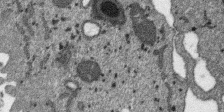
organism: Human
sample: Lung epithelial cells infected with SARS-CoV-2